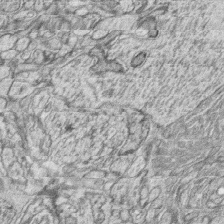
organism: Zebrafish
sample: synaptic ribbons in rod cells and cone cells